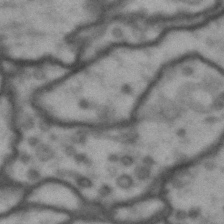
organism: Drosophila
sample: Brain